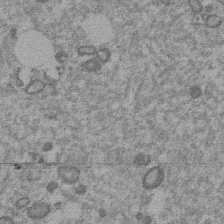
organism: Mouse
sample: Dividing mouse embryo 1 cell stage